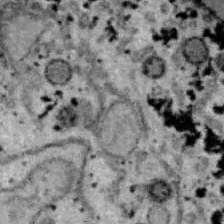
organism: Mouse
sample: Liver from an obese (ob/ob) mouse